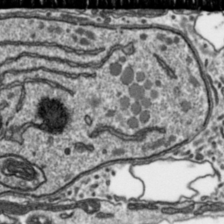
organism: Toxoplasma gondii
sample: Parasites in a vacuole inside a host cell